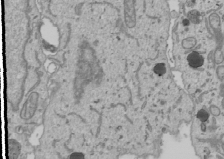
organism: Human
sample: Mitochondria in U2OS cells